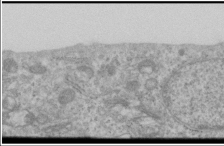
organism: Human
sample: Cilia; basal body in RPE cells